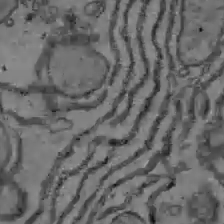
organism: C57BL Mouse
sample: Liver